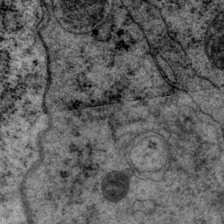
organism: P. pacificus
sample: Pharynx